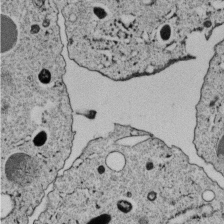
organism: C. elegans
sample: C. elegans embryo early stage